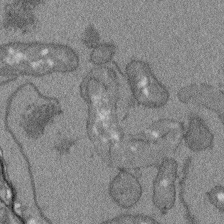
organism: Arabidopsis thaliana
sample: Root tip